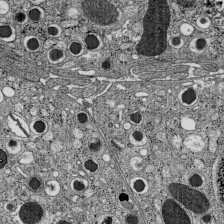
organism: C57BL Mouse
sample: Pancreatic islet